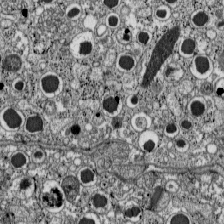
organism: C57BL Mouse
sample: Pancreatic islet